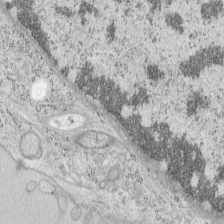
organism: Mouse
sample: OT-I killer T cells with ID8 ovarian cancer cells